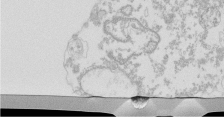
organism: Mouse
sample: Activated Pmel transgenic CD8+ T Cells